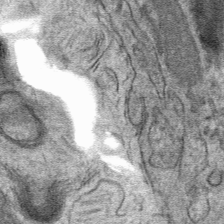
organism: Mouse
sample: Mouse hepatocytes